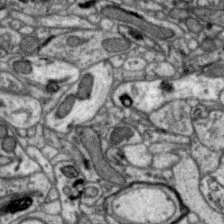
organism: Zebra finch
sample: Brain